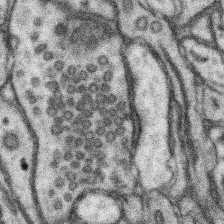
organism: Mouse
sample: Somatosensory cortex neuropil